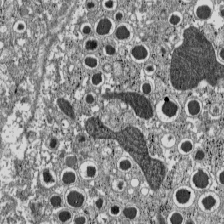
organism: C57BL Mouse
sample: Pancreatic islet